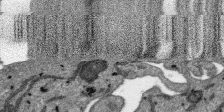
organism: Human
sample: Lung epithelial cells, uninfected (mock) control